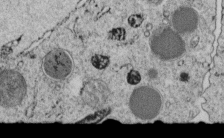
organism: C. elegans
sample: C. elegans embryo early stage